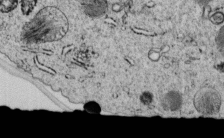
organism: C. elegans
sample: C. elegans embryo early stage